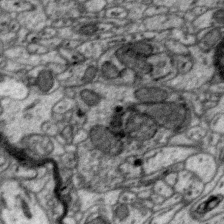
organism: Zebra finch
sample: Brain